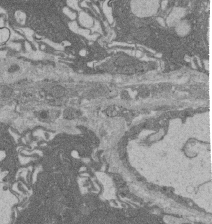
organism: Rat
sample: Salivary granule